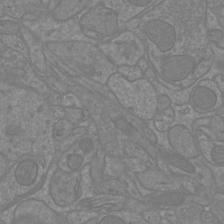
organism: Mouse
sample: Cortical neurons